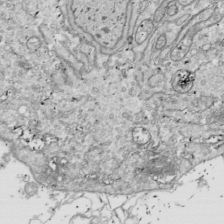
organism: Drosophila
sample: Cell division; meiosis; drosophila spermatocytes